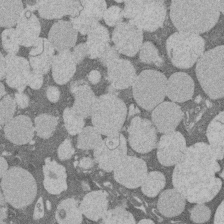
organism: Rat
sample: Salivary granule